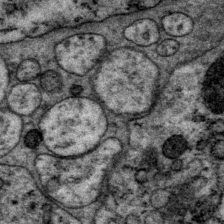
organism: P. pacificus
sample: Pharynx